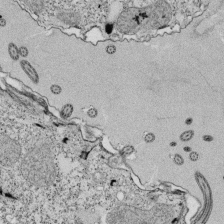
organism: Tetrahymena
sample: Cilia in tetrahymena